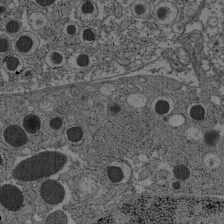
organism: C57BL Mouse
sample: Pancreatic islet